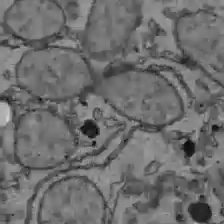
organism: C57BL Mouse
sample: Liver